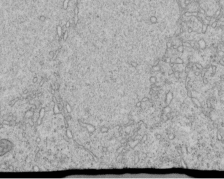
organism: C. elegans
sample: C. elegans embryo early stage